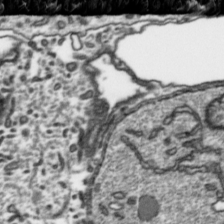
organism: Toxoplasma gondii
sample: Parasites in a vacuole inside a host cell